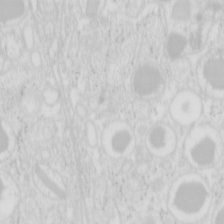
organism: Mouse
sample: Pancreas